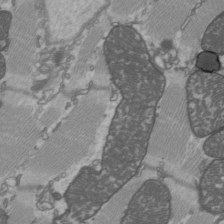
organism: C57BL Mouse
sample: Heart